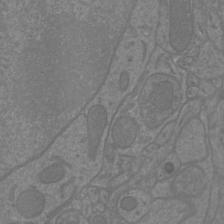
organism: Mouse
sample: Cortical neurons